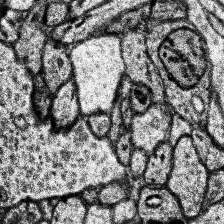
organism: Human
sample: Temporal Lobe